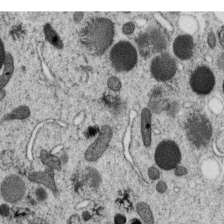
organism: C. elegans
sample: C. elegans oocyte; sperm cells